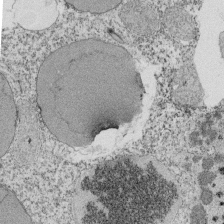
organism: Tetrahymena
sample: Cilia in tetrahymena